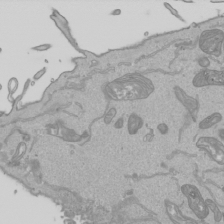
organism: Human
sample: Mitochondria in HCT116 cells